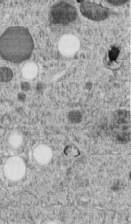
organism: C. elegans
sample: C. elegans embryo early stage